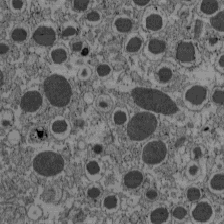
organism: C57BL Mouse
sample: Pancreatic islet